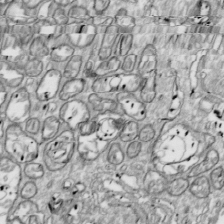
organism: Drosophila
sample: Cell division; meiosis; drosophila spermatocytes